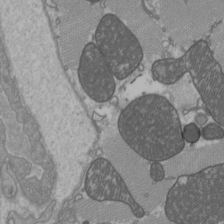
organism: C57BL Mouse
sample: Heart